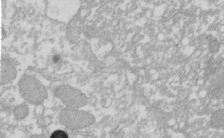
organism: Xenopus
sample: Cilia; centrioles in frog embryo cells